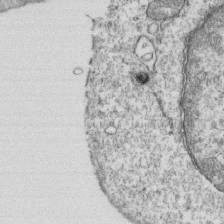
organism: Mouse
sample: Activated OT-1 CD8+ T cells